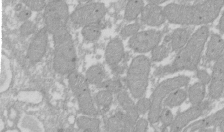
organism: Xenopus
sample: Cilia; centrioles in frog embryo cells